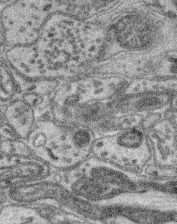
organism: Mouse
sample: Retina